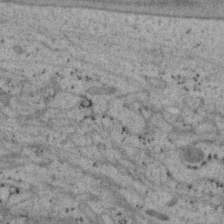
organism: Human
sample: HeLa cells